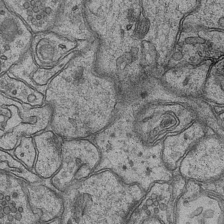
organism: Mouse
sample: CA1 Hippocampus